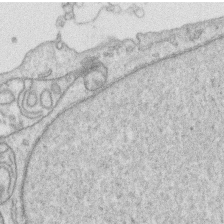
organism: Human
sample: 1205lu cells